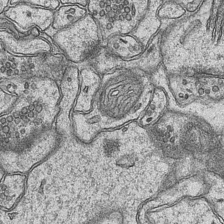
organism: Mouse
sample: CA1 Hippocampus